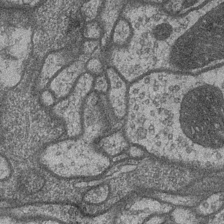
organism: Drosophila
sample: Optic medulla